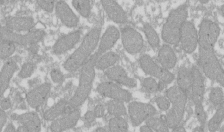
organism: Xenopus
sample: Cilia; centrioles in frog embryo cells